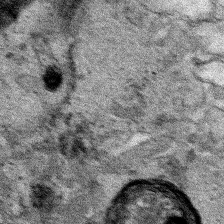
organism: Human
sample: Mitochondria in HCT116 cells